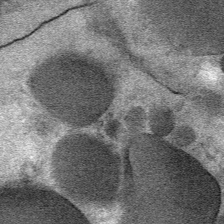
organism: Mouse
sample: Mouse Salivary gland